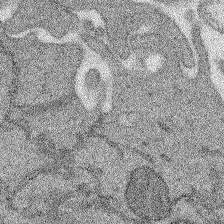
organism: Human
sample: HeLa cells